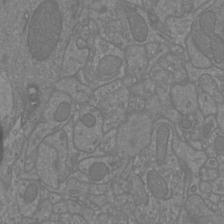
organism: Mouse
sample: Cortical neurons